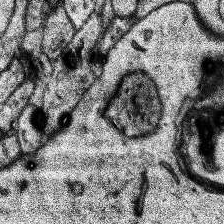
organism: Human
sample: Temporal Lobe